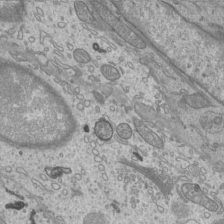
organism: Mouse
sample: Cilia; mouse epididymis